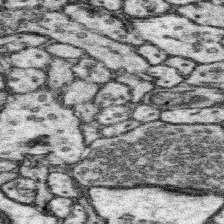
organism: Mouse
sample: Somatosensory cortex neuropil